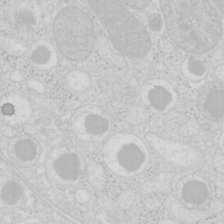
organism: Mouse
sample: Pancreas